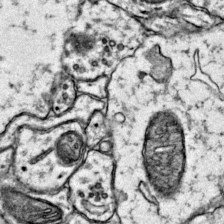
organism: Mouse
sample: Primary visual cortex